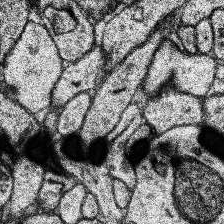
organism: Human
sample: Temporal Lobe